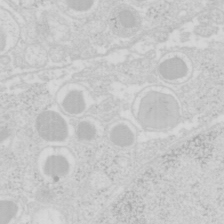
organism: Mouse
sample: Pancreas